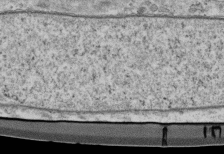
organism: Mouse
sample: Cilia; retinal pigment epithelium